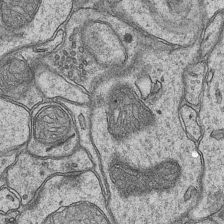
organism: Mouse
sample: CA1 Hippocampus